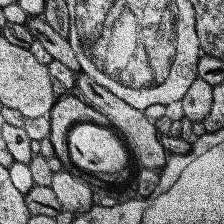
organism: Human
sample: Temporal Lobe